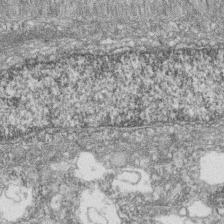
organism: Zebrafish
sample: Cilia; retinal pigment epithelium